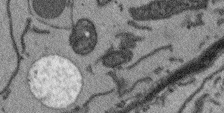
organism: Arabidopsis thaliana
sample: Root tip